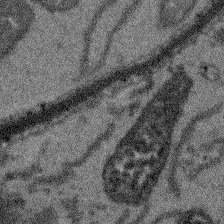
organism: Arabidopsis thaliana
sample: Root tip